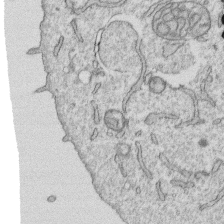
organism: Human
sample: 1205lu cells